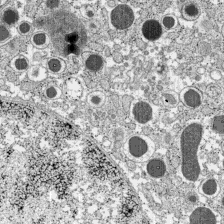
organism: C57BL Mouse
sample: Pancreatic islet